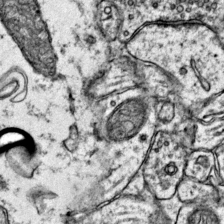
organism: Mouse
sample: Primary visual cortex